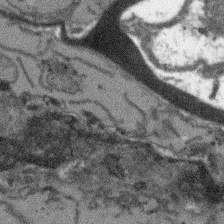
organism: Arabidopsis thaliana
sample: Root tip